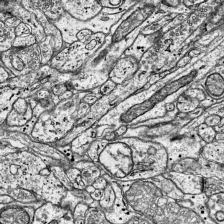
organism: Mouse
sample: Visual Cortex